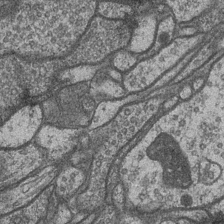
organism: Drosophila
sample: Optic medulla